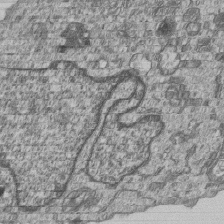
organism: Human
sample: MDA-MB-231 cells